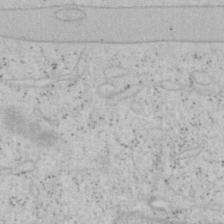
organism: Human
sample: HeLa cells